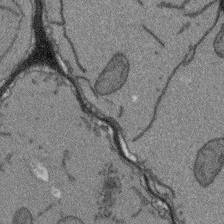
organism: Arabidopsis thaliana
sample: Root tip